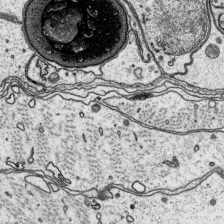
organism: Platynereis dumerilii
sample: Parapodia